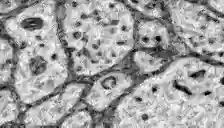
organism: Zebrafish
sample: Brain